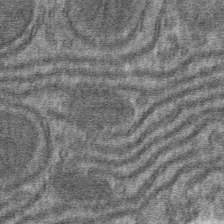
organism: Mouse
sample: Mouse hepatocytes